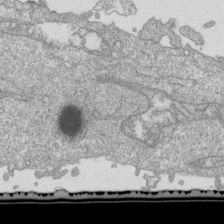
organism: Human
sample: HeLa cell HIV synapse